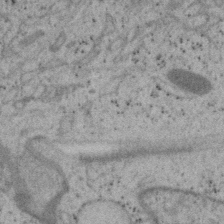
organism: Human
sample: HeLa cells